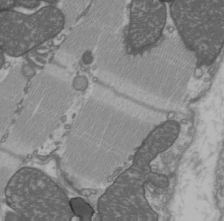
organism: C57BL Mouse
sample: Heart